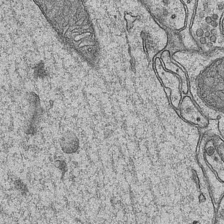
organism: Mouse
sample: CA1 Hippocampus